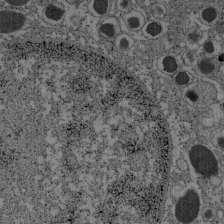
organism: C57BL Mouse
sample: Pancreatic islet